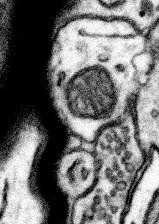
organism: Mouse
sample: Somatosensory cortex neuropil